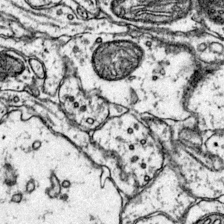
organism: Mouse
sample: Primary visual cortex